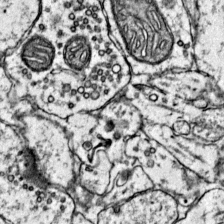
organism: Mouse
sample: Primary visual cortex